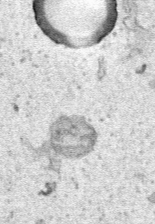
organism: Human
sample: Mitochondria in HCT116 cells